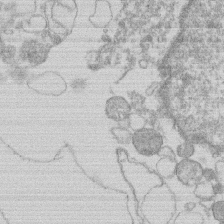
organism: Human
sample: Macrophage cells